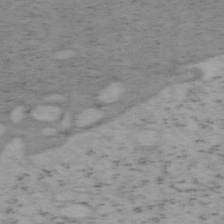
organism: Mouse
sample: OT-I killer T cells with ID8 ovarian cancer cells